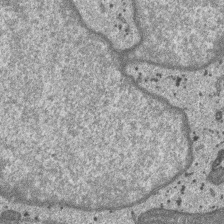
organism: Human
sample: Lung epithelial cells infected with SARS-CoV-2